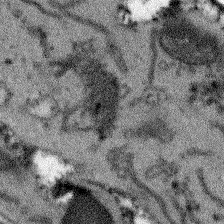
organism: Arabidopsis thaliana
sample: Root tip